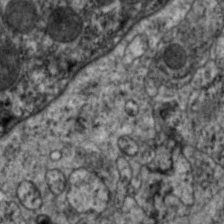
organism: C. elegans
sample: Pharynx